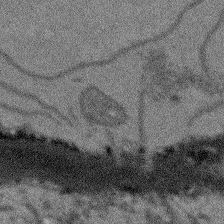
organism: Arabidopsis thaliana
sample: Root tip